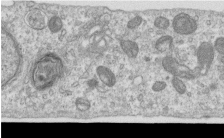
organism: Human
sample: Centriole in RPE cells